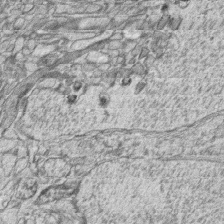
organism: Zebrafish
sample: synaptic ribbons in rod cells and cone cells